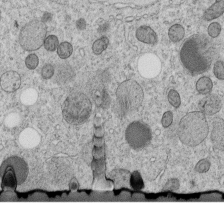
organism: C. elegans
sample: C. elegans embryo early stage